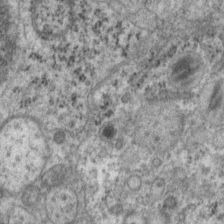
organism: P. pacificus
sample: Pharynx